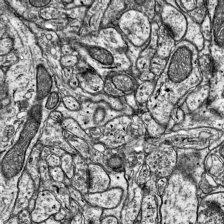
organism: Mouse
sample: Visual Cortex